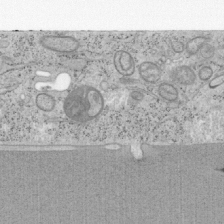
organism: Human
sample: HeLa cells